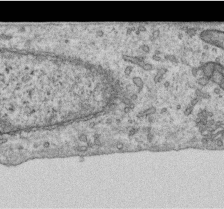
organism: Human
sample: Centriole in RPE cells